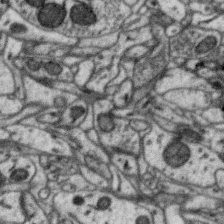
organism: Zebra finch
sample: Brain